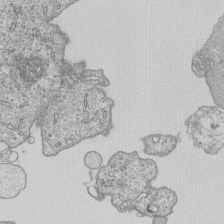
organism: Human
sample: MDA-MB-231 cells